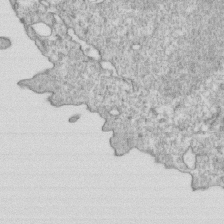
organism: Mouse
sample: Activated OT-1 CD8+ T cells